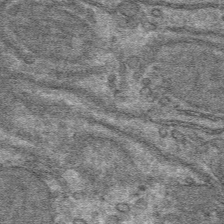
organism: Mouse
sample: Mouse hepatocytes